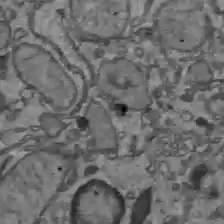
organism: C57BL Mouse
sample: Liver